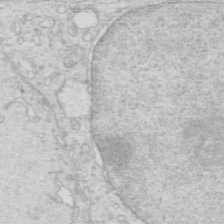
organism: Mouse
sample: Multiciliated cells